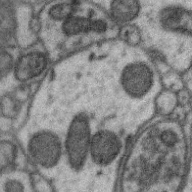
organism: Zebra finch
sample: Brain